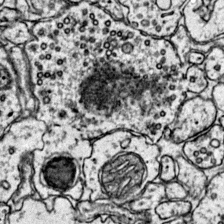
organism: Mouse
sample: Primary visual cortex